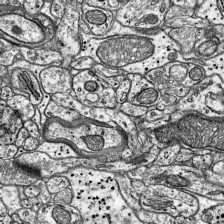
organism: Mouse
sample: Visual Cortex